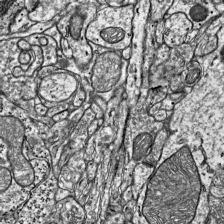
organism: Mouse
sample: Visual Cortex